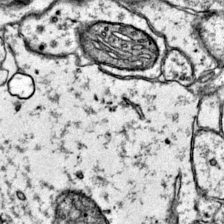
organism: Mouse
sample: Primary visual cortex